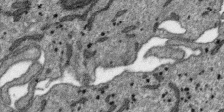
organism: Human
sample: Lung epithelial cells, uninfected (mock) control